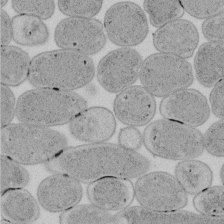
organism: E. coli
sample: Bacterial nucleoid